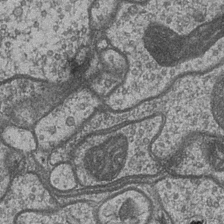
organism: Drosophila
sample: Optic medulla